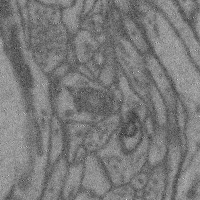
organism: Mouse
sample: Cerebral cortex